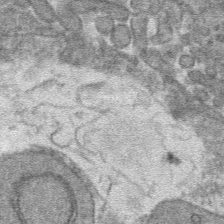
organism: Mouse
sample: Mouse hepatocytes